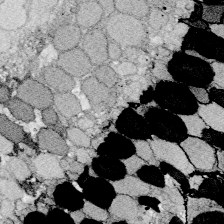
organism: Zebrafish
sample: Whole-Brain